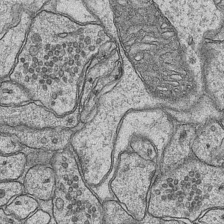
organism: Mouse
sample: CA1 Hippocampus